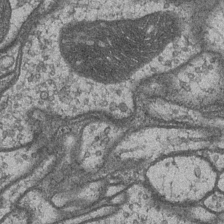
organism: Drosophila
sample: Optic medulla